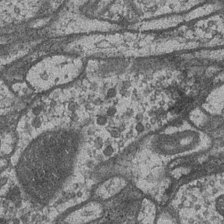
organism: Drosophila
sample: Optic medulla